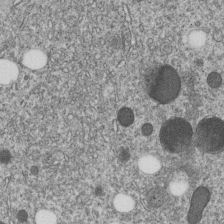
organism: C. elegans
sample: C. elegans embryo early stage